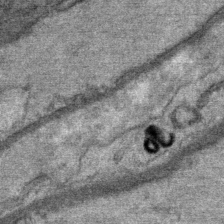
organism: Mouse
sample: Mouse Salivary gland